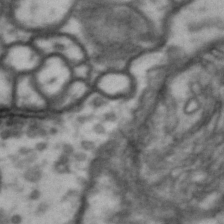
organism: Drosophila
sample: Brain